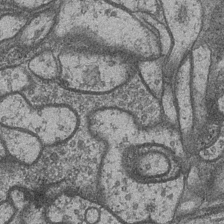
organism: Drosophila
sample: Optic medulla